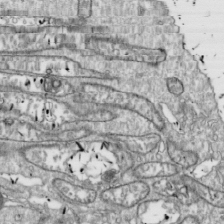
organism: Drosophila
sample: Cell division; meiosis; drosophila spermatocytes